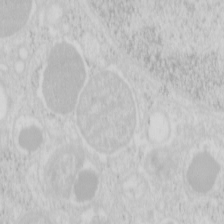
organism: Mouse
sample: Pancreas